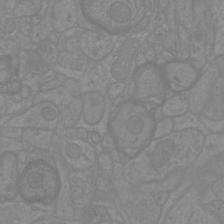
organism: Mouse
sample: Cortical neurons